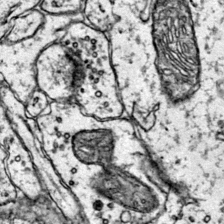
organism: Mouse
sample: Primary visual cortex